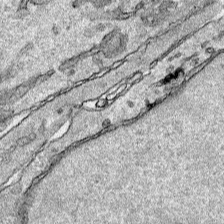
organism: Human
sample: Mitochondria in HCT116 cells